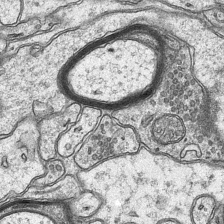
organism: Mouse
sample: CA1 Hippocampus